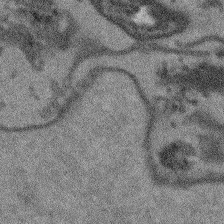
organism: Arabidopsis thaliana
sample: Root tip